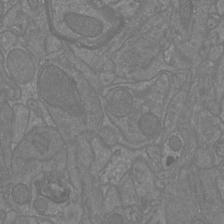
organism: Mouse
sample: Cortical neurons